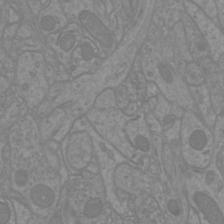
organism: Mouse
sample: Cortical neurons